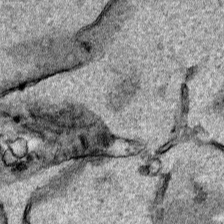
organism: Human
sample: Mitochondria in HCT116 cells